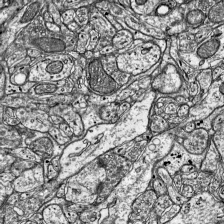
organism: Mouse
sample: Visual Cortex